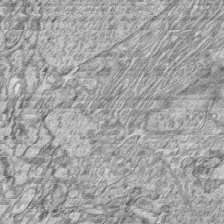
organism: Zebrafish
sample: synaptic ribbons in rod cells and cone cells